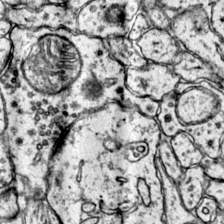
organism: Mouse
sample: Primary visual cortex